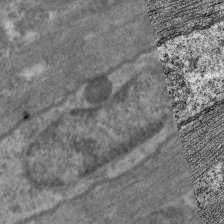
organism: C. elegans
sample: Pharynx